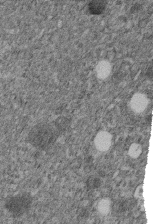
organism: C. elegans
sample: C. elegans embryo early stage